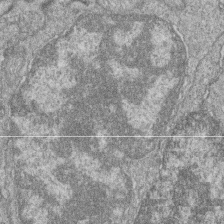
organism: Zebrafish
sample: Cilia; retinal pigment epithelium